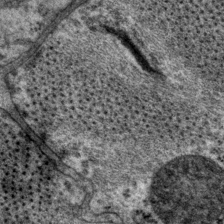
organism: P. pacificus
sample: Pharynx